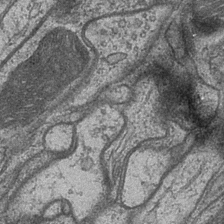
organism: Drosophila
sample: Optic medulla